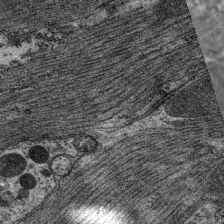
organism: C. elegans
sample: Pharynx